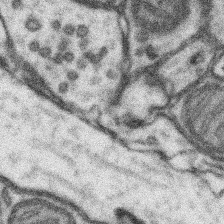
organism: Mouse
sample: Somatosensory cortex neuropil